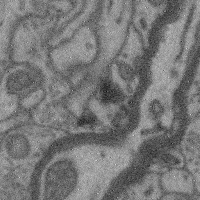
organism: Mouse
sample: Cerebral cortex